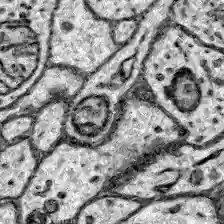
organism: Zebrafish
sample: Brain